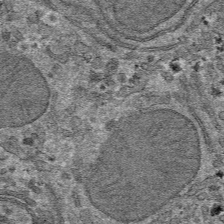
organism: Mouse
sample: Mouse hepatocytes